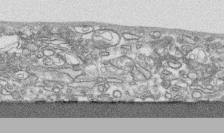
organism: Human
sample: CRL-1474